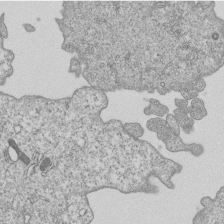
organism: Human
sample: MDA-MB-231 cells